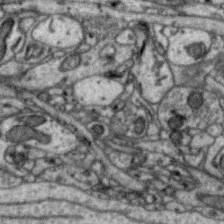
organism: Zebra finch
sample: Brain